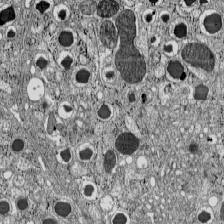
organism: C57BL Mouse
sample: Pancreatic islet